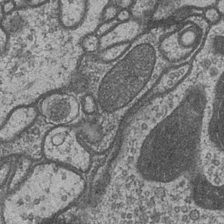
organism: Drosophila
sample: Optic medulla